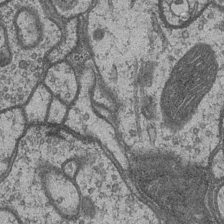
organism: Drosophila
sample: Optic medulla